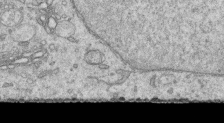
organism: Human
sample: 1205lu cells